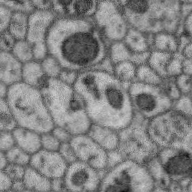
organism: Zebra finch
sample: Brain